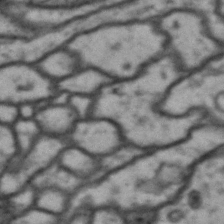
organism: Drosophila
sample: Brain